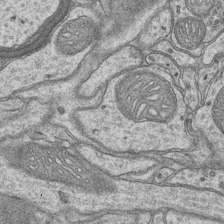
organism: Mouse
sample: CA1 Hippocampus